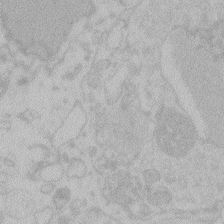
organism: Zebrafish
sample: Macrophage infected with Toxoplasma gondii